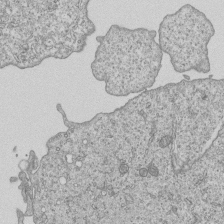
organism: Human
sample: MDA-MB-231 cells